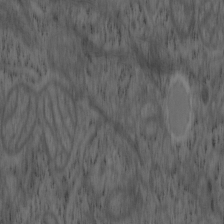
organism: Human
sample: HeLa cells